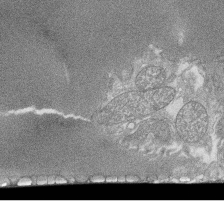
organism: Tetrahymena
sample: Cilia in tetrahymena